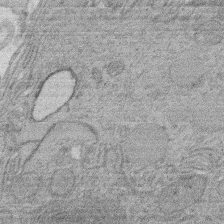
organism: Rat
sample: Salivary granule